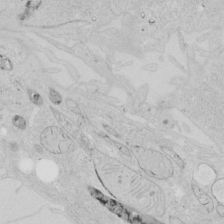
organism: Human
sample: Mitochondria in HCT116 cells